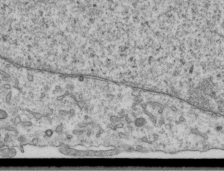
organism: Human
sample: Centriole in RPE cells